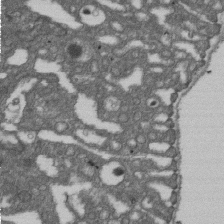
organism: Drosophila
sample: Nephrocyte